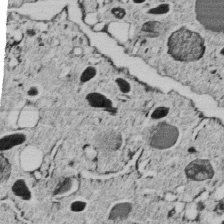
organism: C. elegans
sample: C. elegans embryo early stage